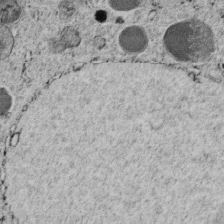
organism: C. elegans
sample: C. elegans embryo early stage